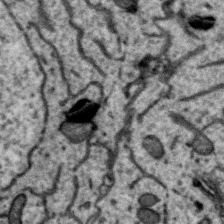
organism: Zebra finch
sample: Brain